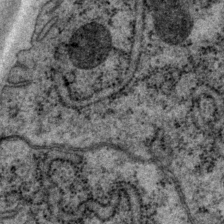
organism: P. pacificus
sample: Pharynx